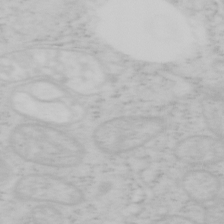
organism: Mouse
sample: OT-I killer T cells with ID8 ovarian cancer cells